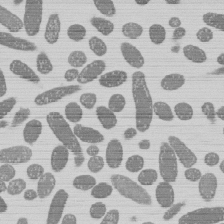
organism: E. coli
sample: Bacterial nucleoid